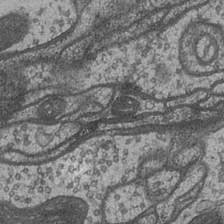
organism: Drosophila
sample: Optic medulla